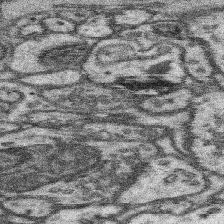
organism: Mouse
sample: Somatosensory cortex neuropil